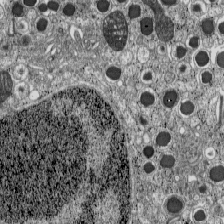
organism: C57BL Mouse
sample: Pancreatic islet